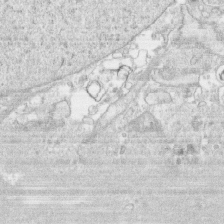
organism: Human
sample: CRL-1474